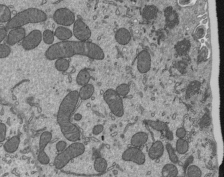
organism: Mouse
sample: Mouse epididymis efferent ductule cilia